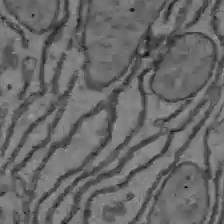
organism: C57BL Mouse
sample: Liver